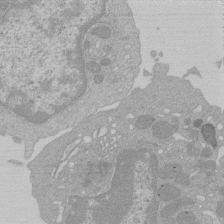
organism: Mouse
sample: Activated Pmel transgenic CD8+ T Cells